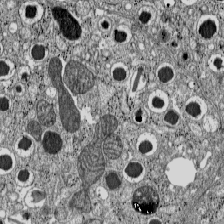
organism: C57BL Mouse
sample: Pancreatic islet